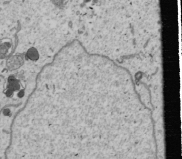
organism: Human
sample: Mitochondria in U2OS cells